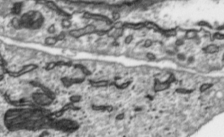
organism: Toxoplasma gondii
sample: Parasites in a vacuole inside a host cell